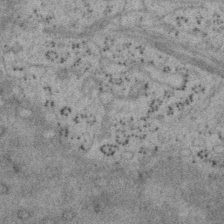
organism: Human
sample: HeLa cells